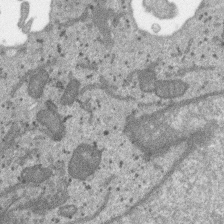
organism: Human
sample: Lung epithelial cells infected with SARS-CoV-2